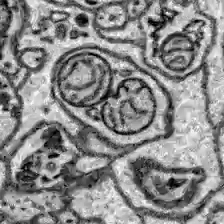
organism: Zebrafish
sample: Brain